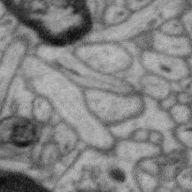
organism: Zebra finch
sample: Brain